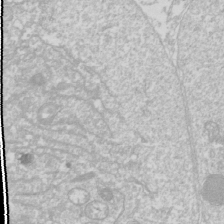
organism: Drosophila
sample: Cell division; meiosis; drosophila spermatocytes